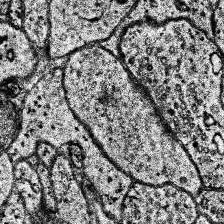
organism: Human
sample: Temporal Lobe